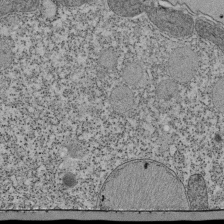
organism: Tetrahymena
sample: Cilia in tetrahymena